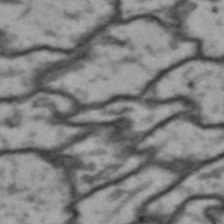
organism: Drosophila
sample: Brain